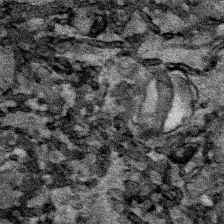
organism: Human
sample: Mitochondria in HCT116 cells